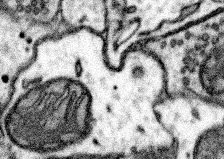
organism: Mouse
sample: Somatosensory cortex neuropil